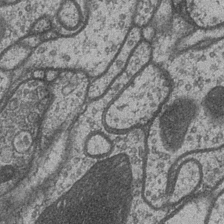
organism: Drosophila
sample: Optic medulla